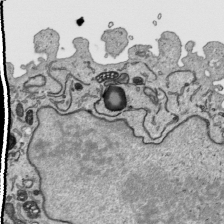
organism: Human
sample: Mitochondria in HCT116 cells